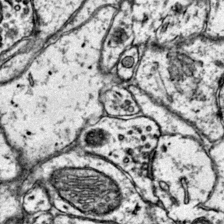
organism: Mouse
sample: Primary visual cortex